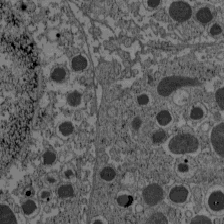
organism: C57BL Mouse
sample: Pancreatic islet